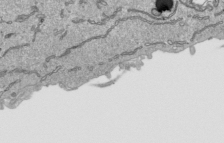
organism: Human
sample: Mitochondria in HCT116 cells